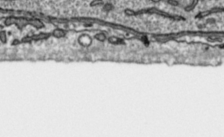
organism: Toxoplasma gondii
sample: Parasites in a vacuole inside a host cell